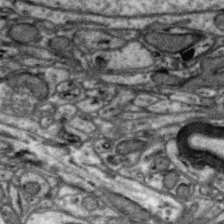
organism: Zebra finch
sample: Brain